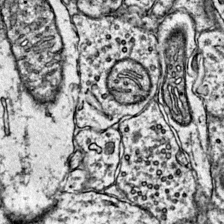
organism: Mouse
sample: Primary visual cortex